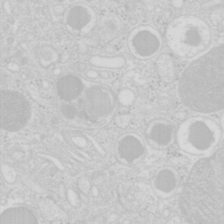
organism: Mouse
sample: Pancreas